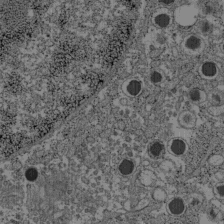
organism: C57BL Mouse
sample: Pancreatic islet